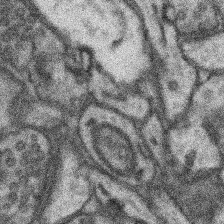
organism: Mouse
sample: Somatosensory cortex neuropil